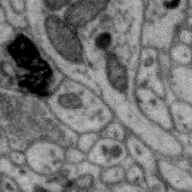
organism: Zebra finch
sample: Brain